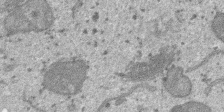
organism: Human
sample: Lung epithelial cells infected with SARS-CoV-2